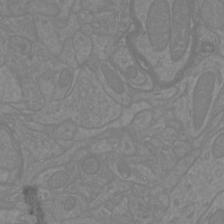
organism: Mouse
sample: Cortical neurons